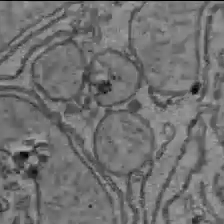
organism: C57BL Mouse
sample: Liver